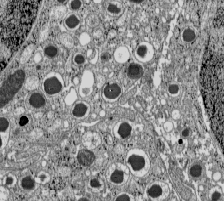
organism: C57BL Mouse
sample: Pancreatic islet